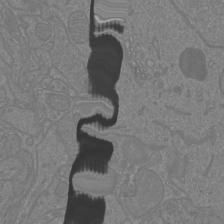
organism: Mouse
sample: Cortical neurons